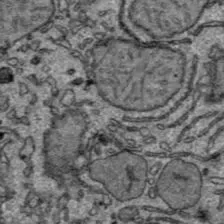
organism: C57BL Mouse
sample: Liver